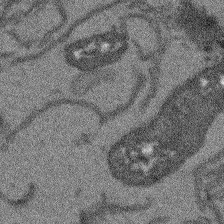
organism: Arabidopsis thaliana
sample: Root tip